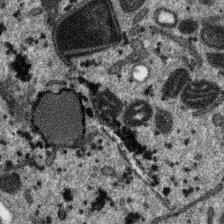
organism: Human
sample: Lung epithelial cells infected with SARS-CoV-2